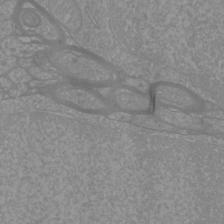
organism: Mouse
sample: Cortical neurons